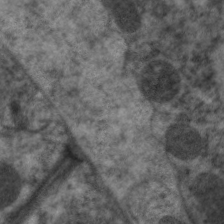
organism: C. elegans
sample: Pharynx